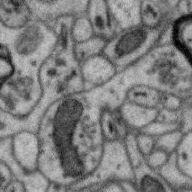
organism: Zebra finch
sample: Brain